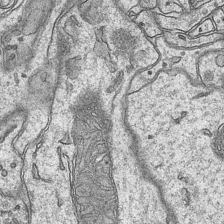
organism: Mouse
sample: CA1 Hippocampus